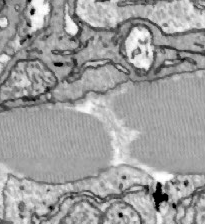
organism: Zebrafish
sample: Actinotrichia fibers